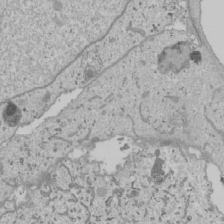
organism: Human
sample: Mitochondria in U2OS cells